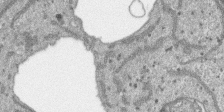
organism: Human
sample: Lung epithelial cells infected with SARS-CoV-2